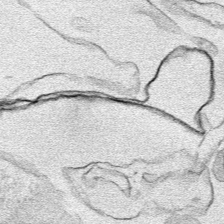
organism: Human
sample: Mitochondria in HCT116 cells